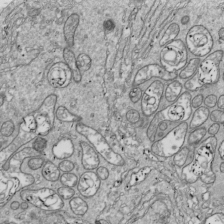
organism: Drosophila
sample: Cell division; meiosis; drosophila spermatocytes